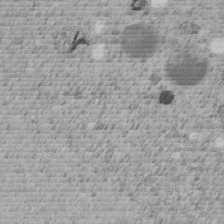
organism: C. elegans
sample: C. elegans embryo early stage